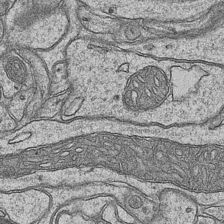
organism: Mouse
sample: CA1 Hippocampus